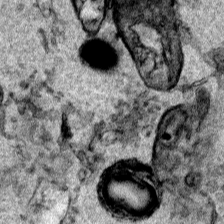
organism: Human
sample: Mitochondria in HCT116 cells